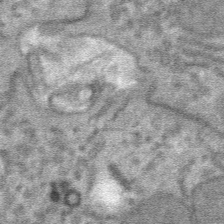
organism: Mouse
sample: Mouse hepatocytes